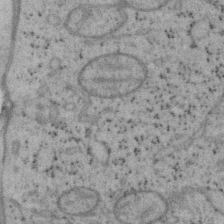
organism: Human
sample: HeLa cells